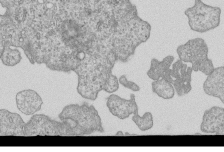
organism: Human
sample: MDA-MB-231 cells